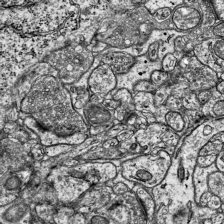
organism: Mouse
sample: Visual Cortex